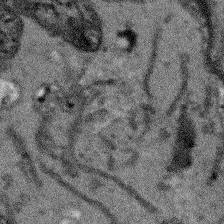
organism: Arabidopsis thaliana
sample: Root tip